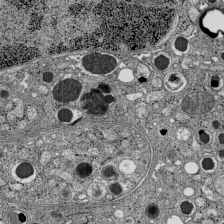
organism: C57BL Mouse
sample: Pancreatic islet